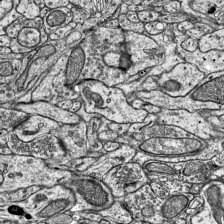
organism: Mouse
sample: Visual Cortex